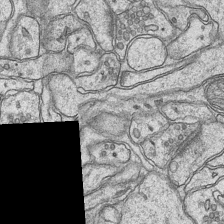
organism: Mouse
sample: CA1 Hippocampus